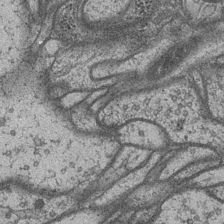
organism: Drosophila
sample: Optic medulla